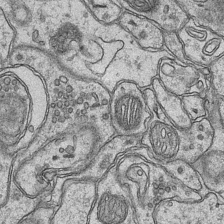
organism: Mouse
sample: CA1 Hippocampus